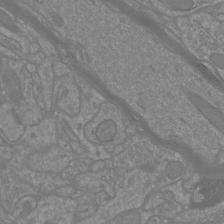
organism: Mouse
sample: Cortical neurons